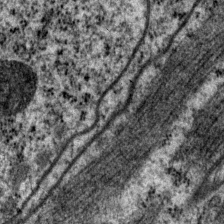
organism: P. pacificus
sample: Pharynx